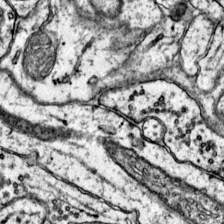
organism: Mouse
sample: Primary visual cortex